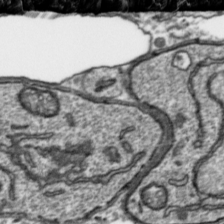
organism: Toxoplasma gondii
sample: Parasites in a vacuole inside a host cell